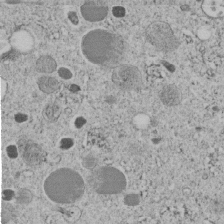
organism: C. elegans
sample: C. elegans embryo early stage